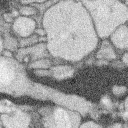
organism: Rabbit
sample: Retina